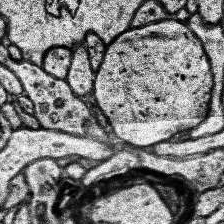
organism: Human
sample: Temporal Lobe